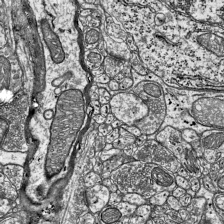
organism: Mouse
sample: Visual Cortex